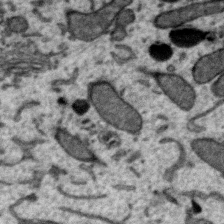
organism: Zebra finch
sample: Brain